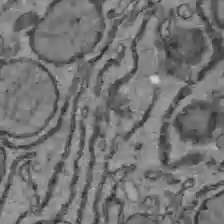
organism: C57BL Mouse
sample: Liver